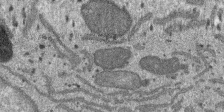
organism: Human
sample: Lung epithelial cells infected with SARS-CoV-2